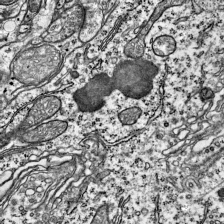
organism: Mouse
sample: Visual Cortex